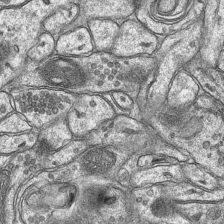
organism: Mouse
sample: CA1 Hippocampus